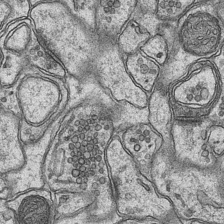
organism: Mouse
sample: CA1 Hippocampus